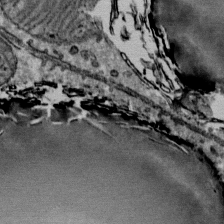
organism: Mouse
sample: Mouse Salivary gland